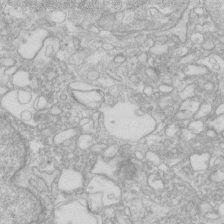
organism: Human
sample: Fibroblast cells